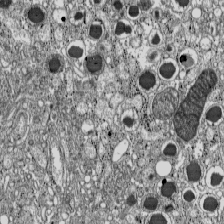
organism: C57BL Mouse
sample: Pancreatic islet